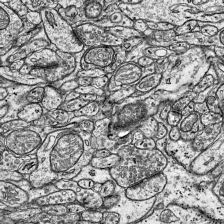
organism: Mouse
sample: Visual Cortex